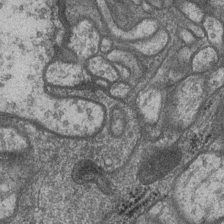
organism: Drosophila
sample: Optic medulla